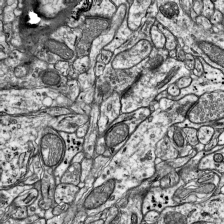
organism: Mouse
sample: Visual Cortex